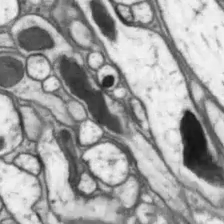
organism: Drosophila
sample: Optic lobe